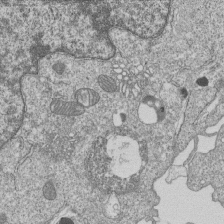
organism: Human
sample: MDA-MB-231 cells